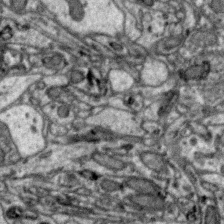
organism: Zebra finch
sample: Brain